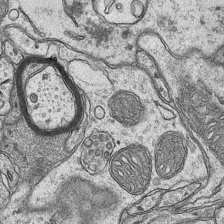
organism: Mouse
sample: CA1 Hippocampus